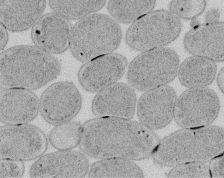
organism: E. coli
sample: Bacterial nucleoid